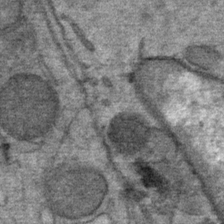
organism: Mouse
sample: Mouse Salivary gland